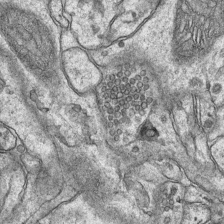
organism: Mouse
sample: CA1 Hippocampus